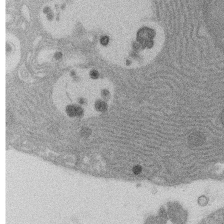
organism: Rat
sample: Salivary granule